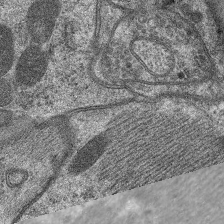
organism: C. elegans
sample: Pharynx